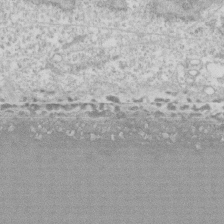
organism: Human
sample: CRL-1474